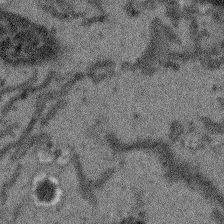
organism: Arabidopsis thaliana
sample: Root tip